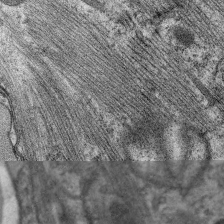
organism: C. elegans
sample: Pharynx